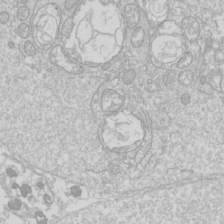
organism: Drosophila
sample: Cell division; meiosis; drosophila spermatocytes